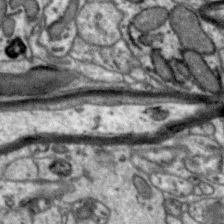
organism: Zebra finch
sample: Brain